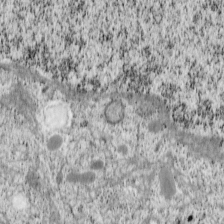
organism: African green monkey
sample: COS-7 cells